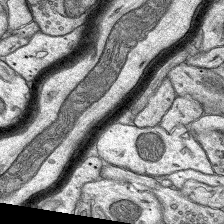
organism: Rat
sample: Hippocampus